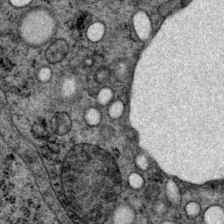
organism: P. pacificus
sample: Pharynx